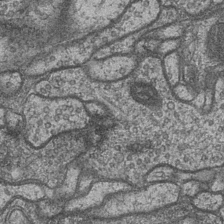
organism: Drosophila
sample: Optic medulla